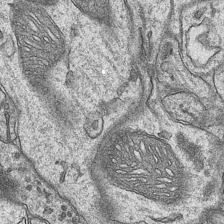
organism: Mouse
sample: CA1 Hippocampus